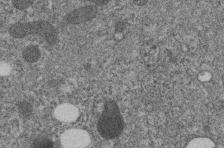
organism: C. elegans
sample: C. elegans embryo early stage